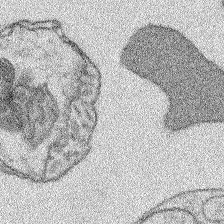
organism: Human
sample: HeLa cells